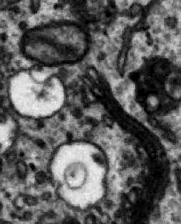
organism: Human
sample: HeLa cells